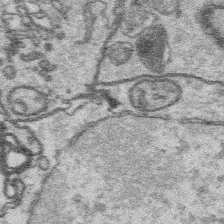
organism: Platynereis dumerilii